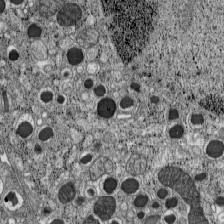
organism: C57BL Mouse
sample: Pancreatic islet